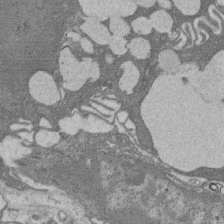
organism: Rat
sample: Salivary granule